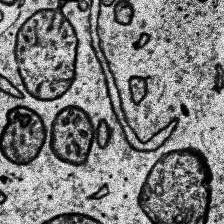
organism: Human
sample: Temporal Lobe